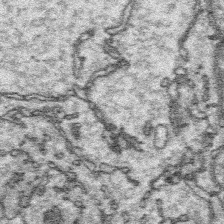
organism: Platynereis dumerilii